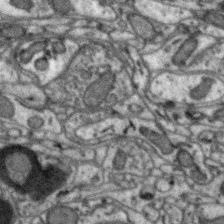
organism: Zebra finch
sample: Brain